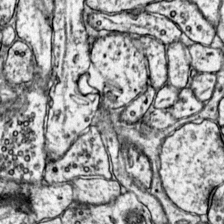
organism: Mouse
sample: Primary visual cortex